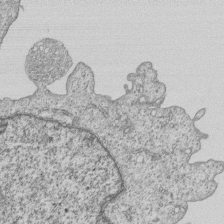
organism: Human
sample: MDA-MB-231 cells